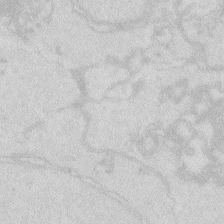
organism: Zebrafish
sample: Macrophage